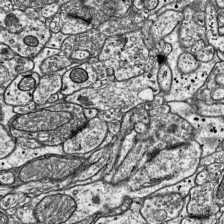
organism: Mouse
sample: Visual Cortex